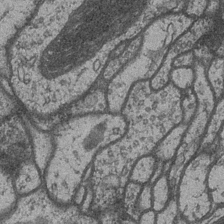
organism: Drosophila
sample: Optic medulla